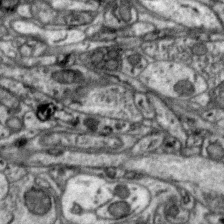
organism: Zebra finch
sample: Brain